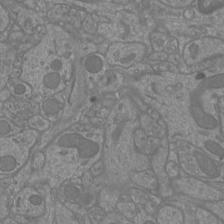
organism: Mouse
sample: Cortical neurons